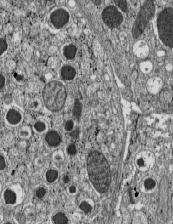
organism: C57BL Mouse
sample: Pancreatic islet